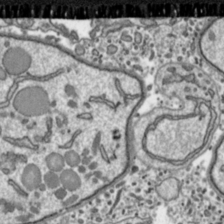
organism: Toxoplasma gondii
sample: Parasites in a vacuole inside a host cell